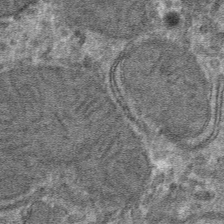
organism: Mouse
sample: Mouse hepatocytes